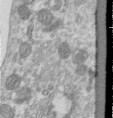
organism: Human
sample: Centriole in RPE cells